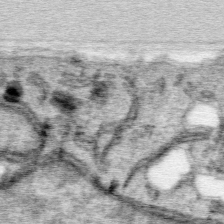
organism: Human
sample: HeLa cells